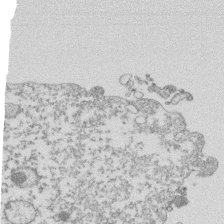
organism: Human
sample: HeLa cell HIV synapse